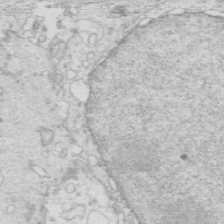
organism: Mouse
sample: Multiciliated cells